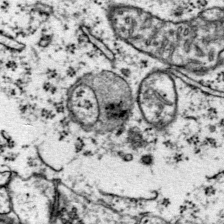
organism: Mouse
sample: Primary visual cortex